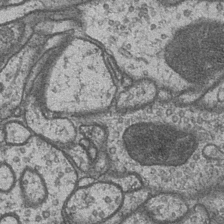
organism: Drosophila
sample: Optic medulla